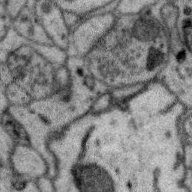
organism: Zebra finch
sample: Brain